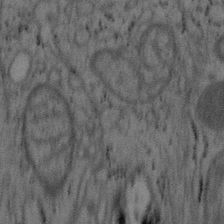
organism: Human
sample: HeLa cells